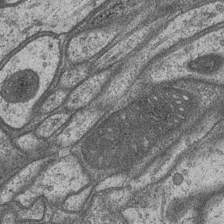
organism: Drosophila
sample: Optic medulla